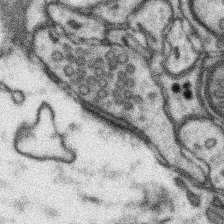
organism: Mouse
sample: Somatosensory cortex neuropil